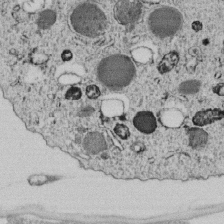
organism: C. elegans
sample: C. elegans embryo early stage